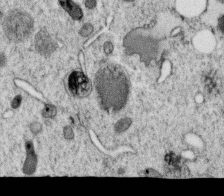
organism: C. elegans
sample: C. elegans oocyte; sperm cells